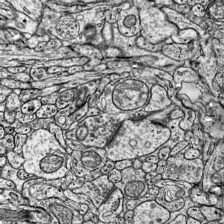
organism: Mouse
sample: Visual Cortex